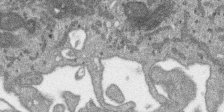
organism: Human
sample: Lung epithelial cells infected with SARS-CoV-2